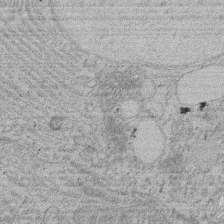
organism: Rat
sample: Salivary granule